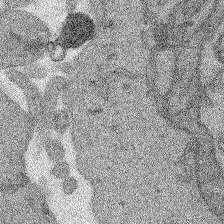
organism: Human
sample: HeLa cells